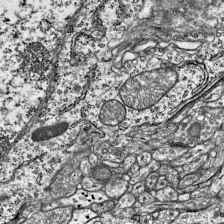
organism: Mouse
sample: Visual Cortex